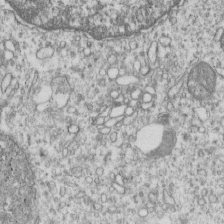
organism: Human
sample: MDA-MB-231 cells